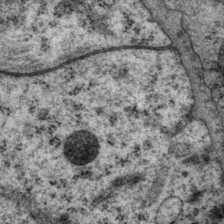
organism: P. pacificus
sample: Pharynx